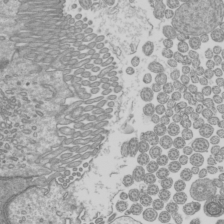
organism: Mouse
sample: Cilia; mouse epididymis